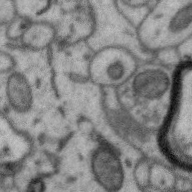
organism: Zebra finch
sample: Brain